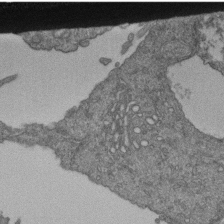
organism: Human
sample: Retinal organoid Rod and Cone cells